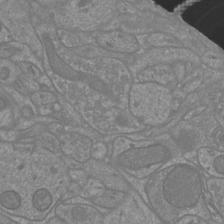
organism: Mouse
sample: Cortical neurons